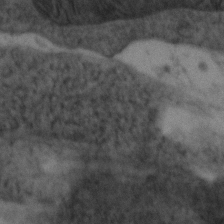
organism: Zebrafish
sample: Zebrafish embryo